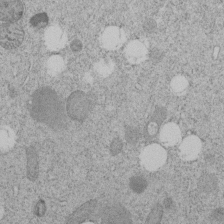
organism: C. elegans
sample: C. elegans embryo early stage